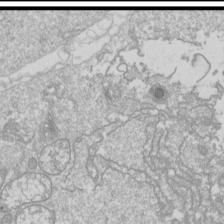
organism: Drosophila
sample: Cell division; meiosis; drosophila spermatocytes